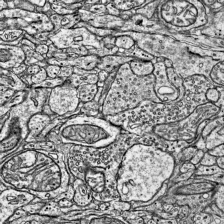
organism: Mouse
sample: Visual Cortex